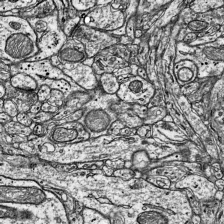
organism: Mouse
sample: Visual Cortex